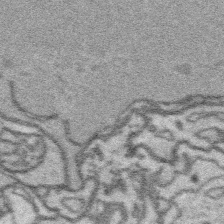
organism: Platynereis dumerilii